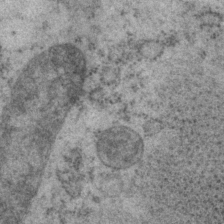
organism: P. pacificus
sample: Pharynx